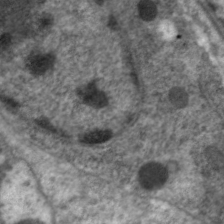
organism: C. elegans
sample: Pharynx